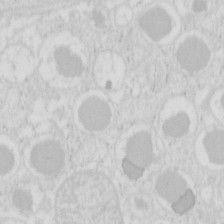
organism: Mouse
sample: Pancreas